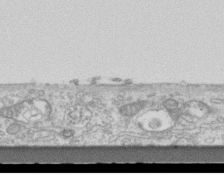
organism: Mouse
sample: Centriole in ependymal cells